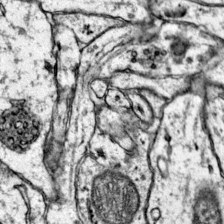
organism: Mouse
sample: Primary visual cortex